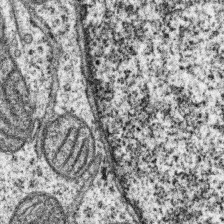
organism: Human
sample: HeLa cells